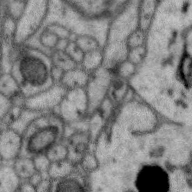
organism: Zebra finch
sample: Brain